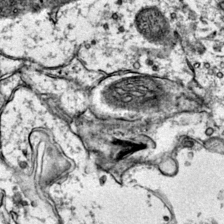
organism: Mouse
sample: Primary visual cortex